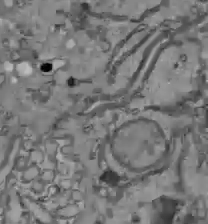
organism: C57BL Mouse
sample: Liver